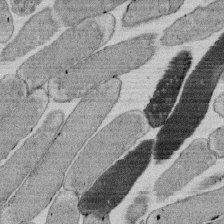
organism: E. coli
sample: Bacterial nucleoid